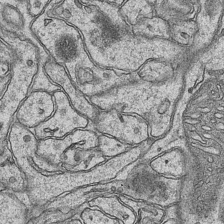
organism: Mouse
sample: CA1 Hippocampus